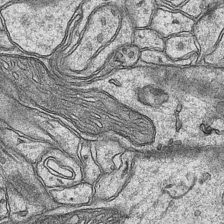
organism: Mouse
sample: CA1 Hippocampus